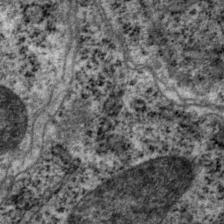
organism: P. pacificus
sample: Pharynx